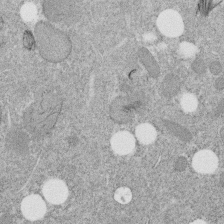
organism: C. elegans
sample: C. elegans embryo early stage